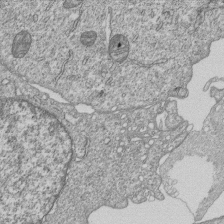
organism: Human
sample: MDA-MB-231 cells